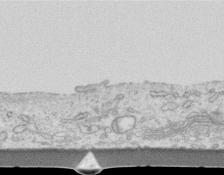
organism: Mouse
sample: Centriole in ependymal cells